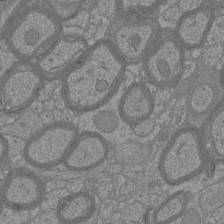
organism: Mouse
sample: Cortical neurons